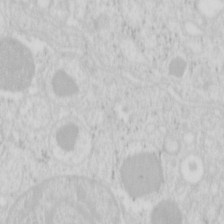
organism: Mouse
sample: Pancreas